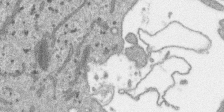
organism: Human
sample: Lung epithelial cells infected with SARS-CoV-2